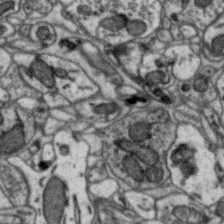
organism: Zebra finch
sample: Brain